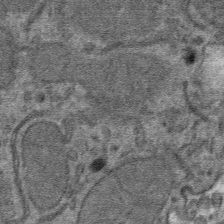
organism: Mouse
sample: Mouse hepatocytes